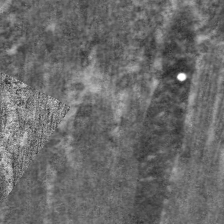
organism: C. elegans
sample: Pharynx